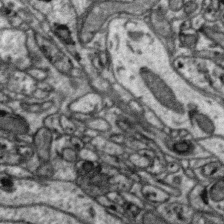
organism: Zebra finch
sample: Brain